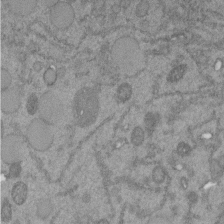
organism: C. elegans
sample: C. elegans embryo early stage